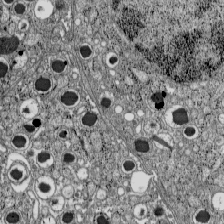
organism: C57BL Mouse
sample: Pancreatic islet